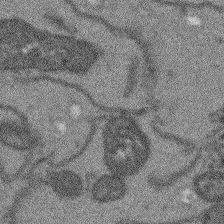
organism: Arabidopsis thaliana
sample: Root tip